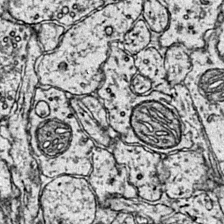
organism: Mouse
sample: Primary visual cortex